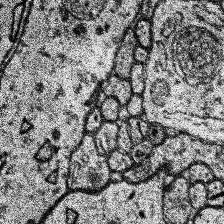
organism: Human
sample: Temporal Lobe